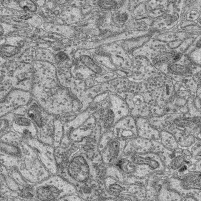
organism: Mouse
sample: Retina